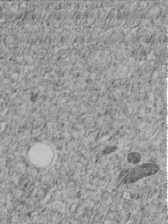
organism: C. elegans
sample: C. elegans embryo early stage